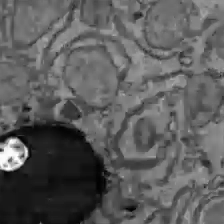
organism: C57BL Mouse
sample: Liver